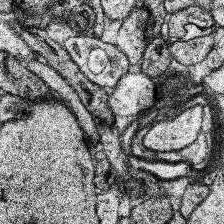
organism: Human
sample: Temporal Lobe